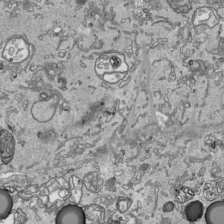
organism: Human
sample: Mitochondria in HCT116 cells